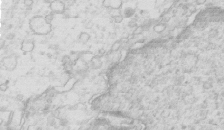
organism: Mouse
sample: Multiciliated cells